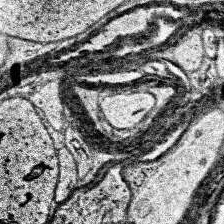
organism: Human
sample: Temporal Lobe